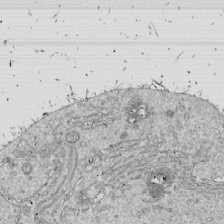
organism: Drosophila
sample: Cell division; meiosis; drosophila spermatocytes